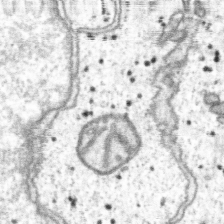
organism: Human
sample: HeLa cells